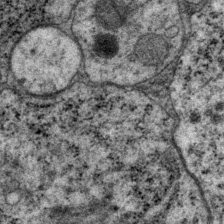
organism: P. pacificus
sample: Pharynx